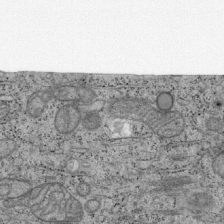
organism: Human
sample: HeLa cells